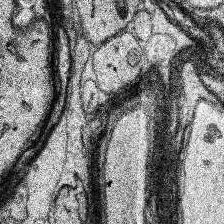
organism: Human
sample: Temporal Lobe